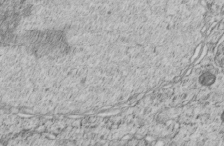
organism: C. elegans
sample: C. elegans embryo early stage